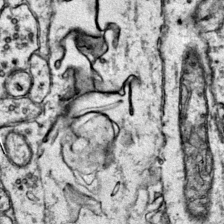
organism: Mouse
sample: Primary visual cortex